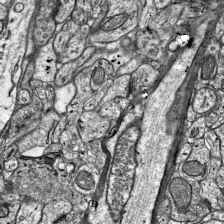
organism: Mouse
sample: Visual Cortex